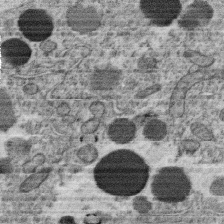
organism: C. elegans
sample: C. elegans oocyte; sperm cells